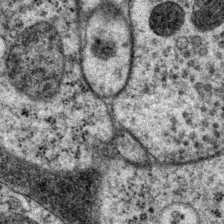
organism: P. pacificus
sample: Pharynx